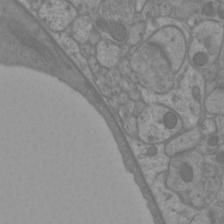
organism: Mouse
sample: Cortical neurons